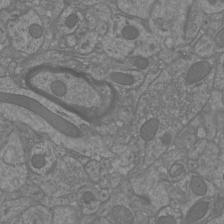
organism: Mouse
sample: Cortical neurons